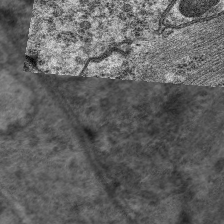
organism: C. elegans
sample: Pharynx